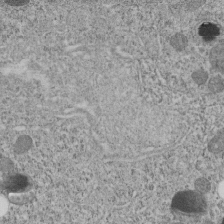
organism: C. elegans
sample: C. elegans embryo early stage